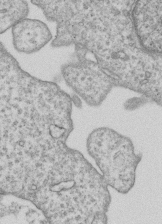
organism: Human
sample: MDA-MB-231 cells